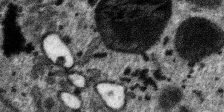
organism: Human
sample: Lung epithelial cells infected with SARS-CoV-2